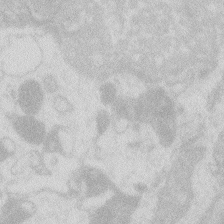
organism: Zebrafish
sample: Macrophage